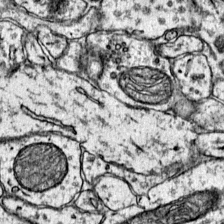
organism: Mouse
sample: Primary visual cortex